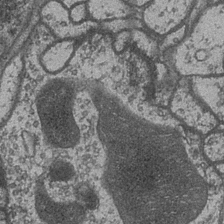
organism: Drosophila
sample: Optic medulla